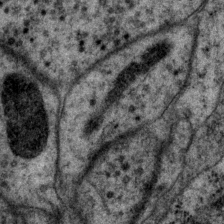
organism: P. pacificus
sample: Pharynx